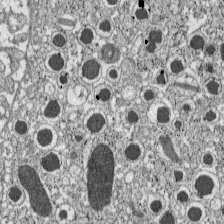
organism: C57BL Mouse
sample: Pancreatic islet